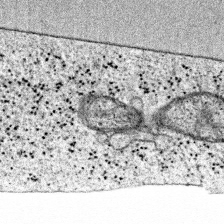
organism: Human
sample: HeLa cells